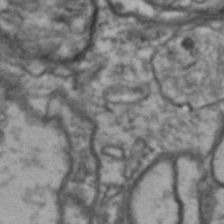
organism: Drosophila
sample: Brain